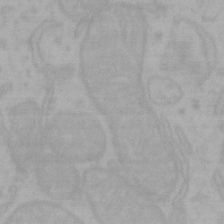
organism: Mouse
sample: Choroid plexus